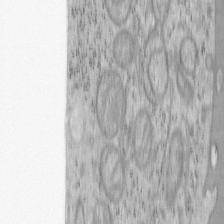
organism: Human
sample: HeLa cells